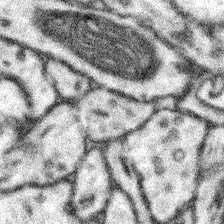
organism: Mouse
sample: Somatosensory cortex neuropil